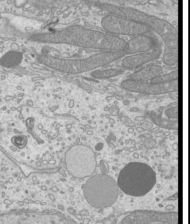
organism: Mouse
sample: Cilia; mouse epididymis